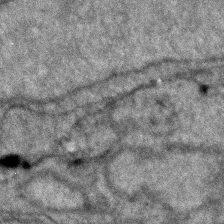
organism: Zebrafish